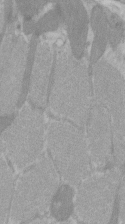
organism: C57BL Mouse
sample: Tibialis anterior muscle cell